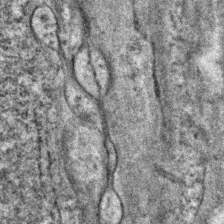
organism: C. elegans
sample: C. elegans embryo